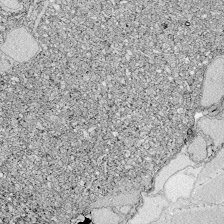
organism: Zebrafish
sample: Whole-Brain